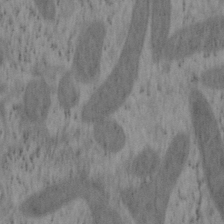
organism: Mouse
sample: OT-I killer T cells with ID8 ovarian cancer cells